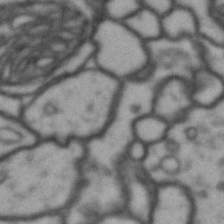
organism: Drosophila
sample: Brain